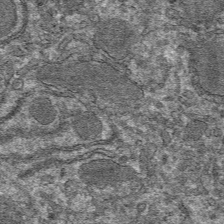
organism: Mouse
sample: Mouse hepatocytes